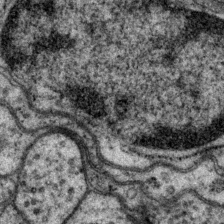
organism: P. pacificus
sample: Pharynx